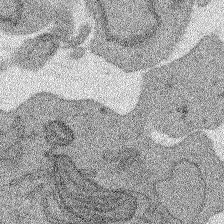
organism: Human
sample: HeLa cells